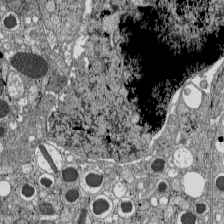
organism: C57BL Mouse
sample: Pancreatic islet